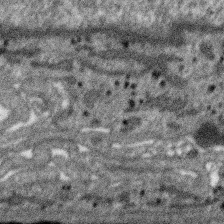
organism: Human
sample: Lung epithelial cells infected with SARS-CoV-2